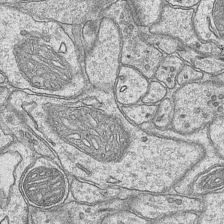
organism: Mouse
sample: CA1 Hippocampus